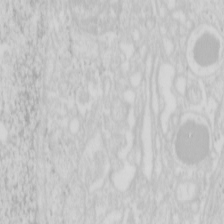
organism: Mouse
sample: Pancreas